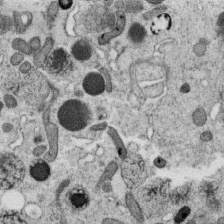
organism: C. elegans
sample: C. elegans oocyte; sperm cells